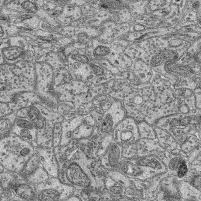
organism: Mouse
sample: Retina